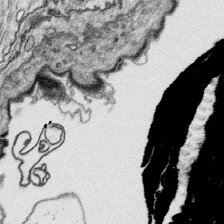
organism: Platynereis dumerilii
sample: Parapodia